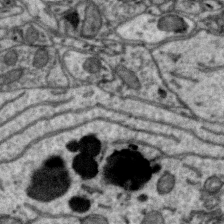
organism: Zebra finch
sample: Brain